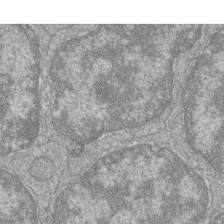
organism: Zebrafish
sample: Cilia; retinal pigment epithelium